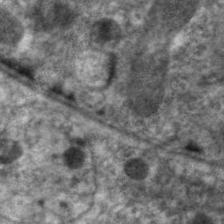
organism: C. elegans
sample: Pharynx